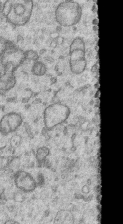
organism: Human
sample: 1205lu cells